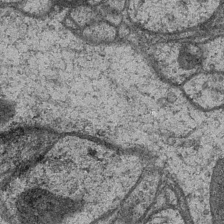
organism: Drosophila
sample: Optic medulla